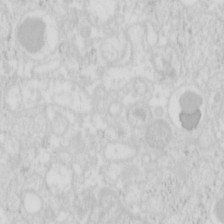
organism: Mouse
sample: Pancreas